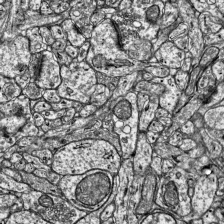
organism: Mouse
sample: Visual Cortex